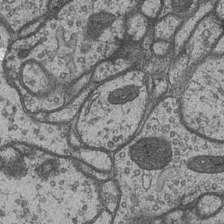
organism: Drosophila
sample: Optic medulla